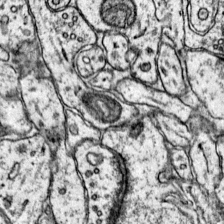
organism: Mouse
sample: Primary visual cortex